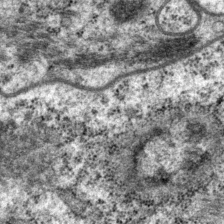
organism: P. pacificus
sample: Pharynx